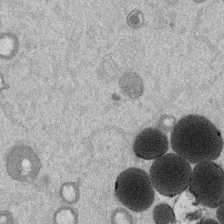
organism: Mouse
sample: Dividing mouse embryo 1 cell stage